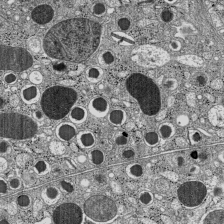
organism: C57BL Mouse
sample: Pancreatic islet